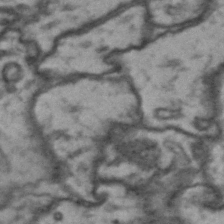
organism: Drosophila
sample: Brain